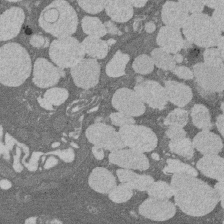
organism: Rat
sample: Salivary granule